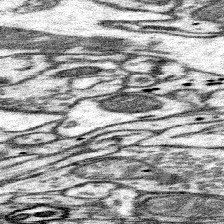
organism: Mouse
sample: Somatosensory cortex neuropil